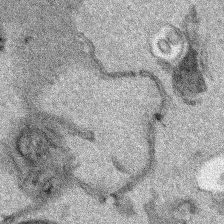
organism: Human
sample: Mitochondria in HCT116 cells